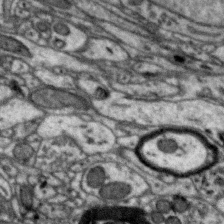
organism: Zebra finch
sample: Brain